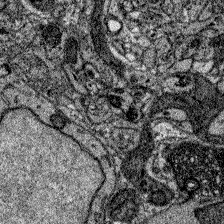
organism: Zebrafish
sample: Larval olfactory bulb